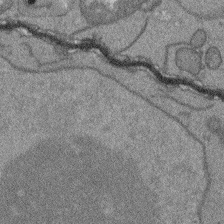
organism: Arabidopsis thaliana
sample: Root tip